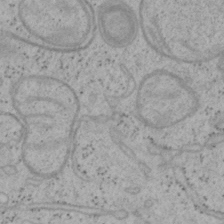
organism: Human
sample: HeLa cells